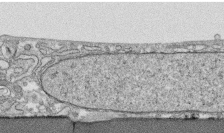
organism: Human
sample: CRL-1474